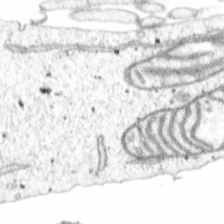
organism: Human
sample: HeLa cells